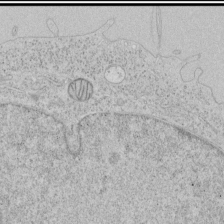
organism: Human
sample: Mitochondria in HCT116 cells